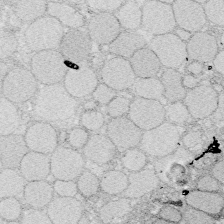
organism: Zebrafish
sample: Whole-Brain